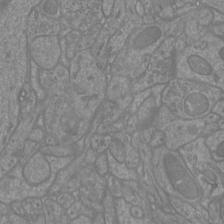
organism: Mouse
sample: Cortical neurons